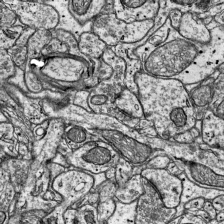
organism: Mouse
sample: Visual Cortex